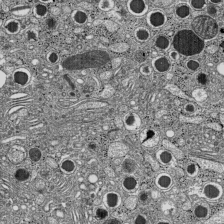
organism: C57BL Mouse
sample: Pancreatic islet